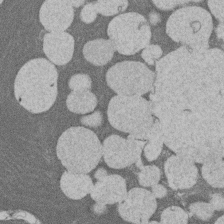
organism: Rat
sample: Salivary granule